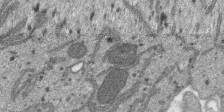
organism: Human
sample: Lung epithelial cells infected with SARS-CoV-2